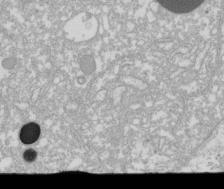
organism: Xenopus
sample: Cilia; centrioles in frog embryo cells